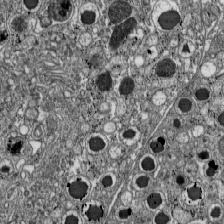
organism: C57BL Mouse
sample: Pancreatic islet